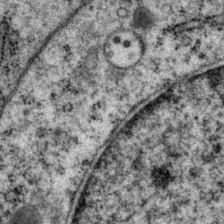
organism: P. pacificus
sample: Pharynx